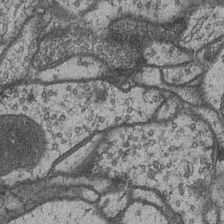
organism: Drosophila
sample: Optic medulla